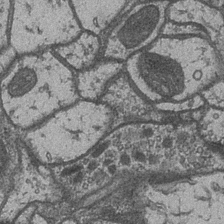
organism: Drosophila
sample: Optic medulla